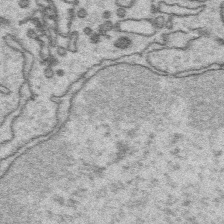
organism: Platynereis dumerilii